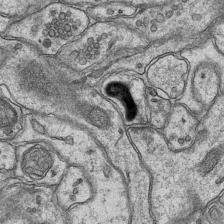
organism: Mouse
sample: CA1 Hippocampus